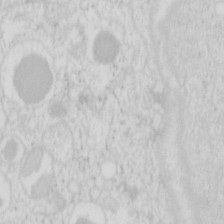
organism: Mouse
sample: Pancreas